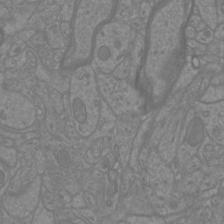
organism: Mouse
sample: Cortical neurons